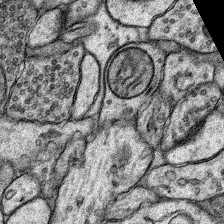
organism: Rat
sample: Hippocampus